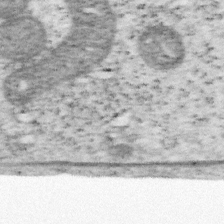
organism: Mouse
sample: OT-I killer T cells with ID8 ovarian cancer cells